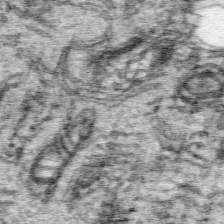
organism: Human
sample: HeLa cells